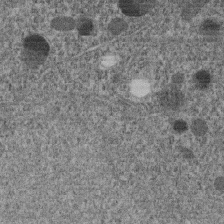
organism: C. elegans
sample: C. elegans embryo early stage